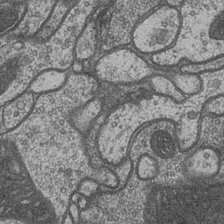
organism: Drosophila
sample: Optic medulla